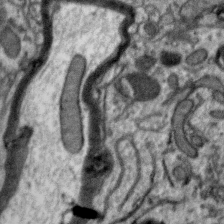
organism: Zebra finch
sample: Brain